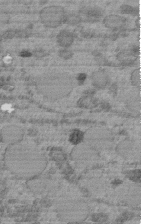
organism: C. elegans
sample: C. elegans embryo early stage